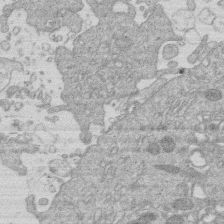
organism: Human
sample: Macrophage cells